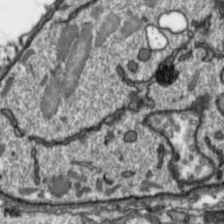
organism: Toxoplasma gondii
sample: Parasites in a vacuole inside a host cell